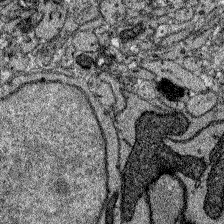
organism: Zebrafish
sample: Larval olfactory bulb